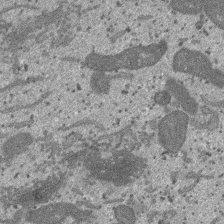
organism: Human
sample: Lung epithelial cells infected with SARS-CoV-2